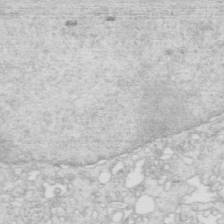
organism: Mouse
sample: Multiciliated cells